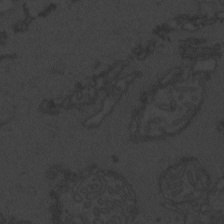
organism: Zebrafish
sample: Macrophage infected with Toxoplasma gondii